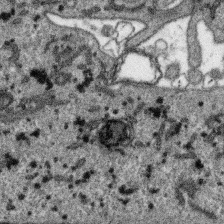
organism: Human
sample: Lung epithelial cells infected with SARS-CoV-2